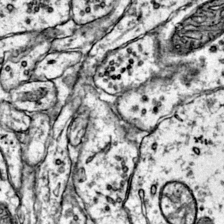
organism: Mouse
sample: Primary visual cortex